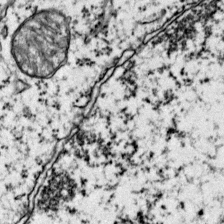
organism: Mouse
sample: Primary visual cortex